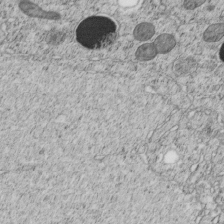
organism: C. elegans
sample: C. elegans embryo early stage